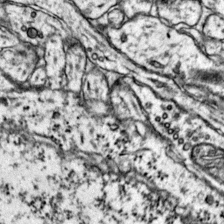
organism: Mouse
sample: Primary visual cortex